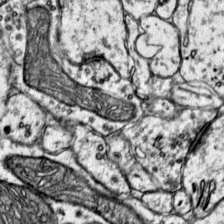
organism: Mouse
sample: Primary visual cortex